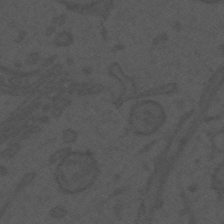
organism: Mouse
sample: Suprachiasmatic nucleus